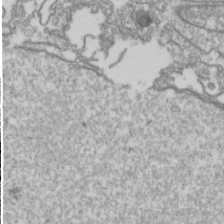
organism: Drosophila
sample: Cell division; meiosis; drosophila spermatocytes